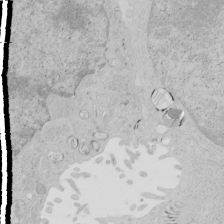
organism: Human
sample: Mitochondria in HCT116 cells